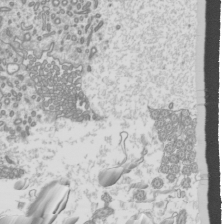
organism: Mouse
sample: Cilia; mouse epididymis